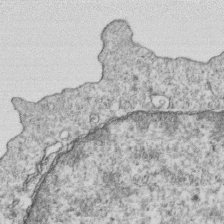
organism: Mouse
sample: Activated OT-1 CD8+ T cells